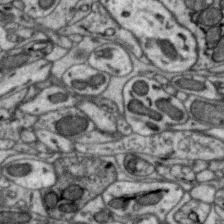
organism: Zebra finch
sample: Brain